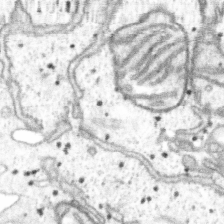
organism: Human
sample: HeLa cells